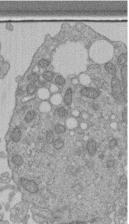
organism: Human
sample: Retinal organoid Rod and Cone cells